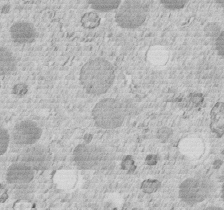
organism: C. elegans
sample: C. elegans embryo early stage